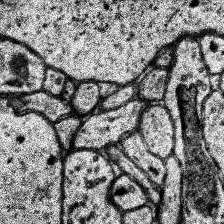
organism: Human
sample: Temporal Lobe